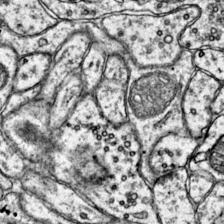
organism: Mouse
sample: Primary visual cortex